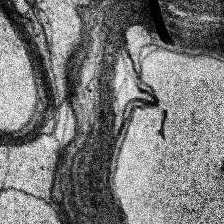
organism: Human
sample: Temporal Lobe